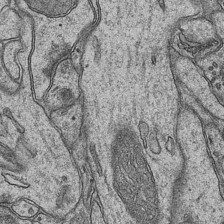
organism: Mouse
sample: CA1 Hippocampus